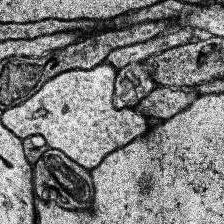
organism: Human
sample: Temporal Lobe